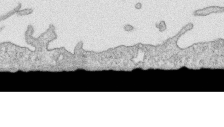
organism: Human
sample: HeLa cell HIV synapse